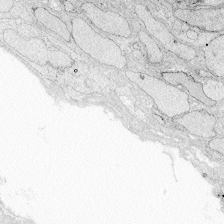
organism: Zebrafish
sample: Whole-Brain